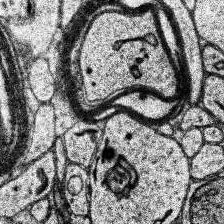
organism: Human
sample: Temporal Lobe